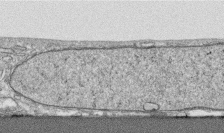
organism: Human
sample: CRL-1474